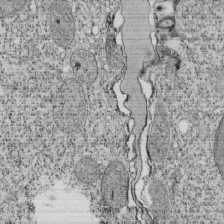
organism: Tetrahymena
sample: Cilia in tetrahymena